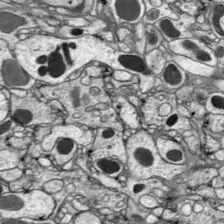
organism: Drosophila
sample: Optic lobe